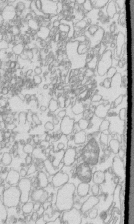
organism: Mouse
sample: Macrophages